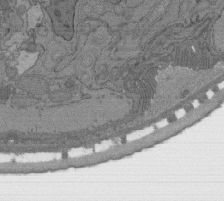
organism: C. elegans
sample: AFD neurons C. elegans